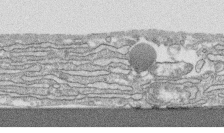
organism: Human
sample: CRL-1474